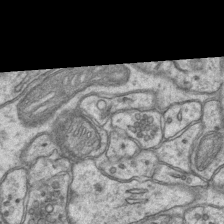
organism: Mouse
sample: CA1 Hippocampus